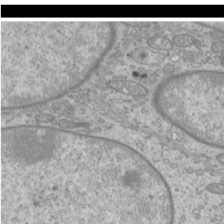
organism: Mouse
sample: Cilia; mouse epididymis